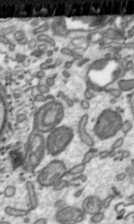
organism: Toxoplasma gondii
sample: Parasites in a vacuole inside a host cell